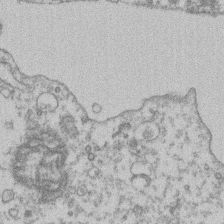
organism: Mouse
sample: T cell stromal cell synapse